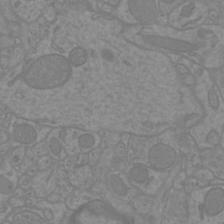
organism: Mouse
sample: Cortical neurons